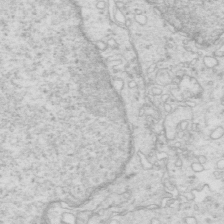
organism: Mouse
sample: Multiciliated cells